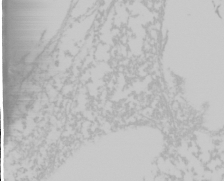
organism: Mouse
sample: Cancer cell death in ED-1 cells